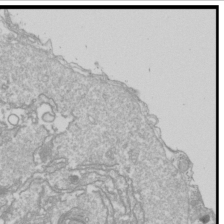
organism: Drosophila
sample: Cell division; meiosis; drosophila spermatocytes